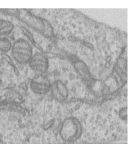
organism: Human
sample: Centriole in RPE cells